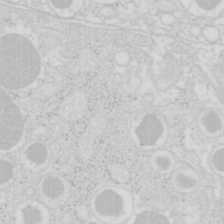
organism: Mouse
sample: Pancreas